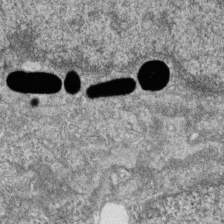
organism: Zebrafish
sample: Cilia; retinal pigment epithelium